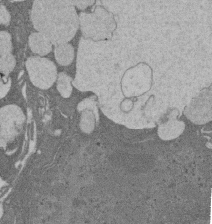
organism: Rat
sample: Salivary granule